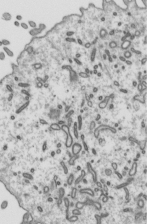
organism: Mouse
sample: Mouse epididymis efferent ductule cilia